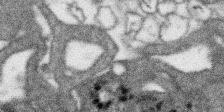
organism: Human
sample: Lung epithelial cells infected with SARS-CoV-2